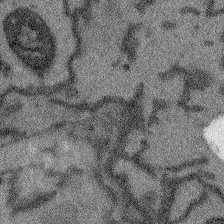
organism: Arabidopsis thaliana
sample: Root tip